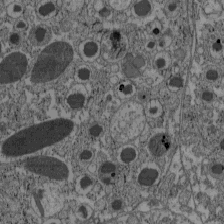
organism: C57BL Mouse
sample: Pancreatic islet